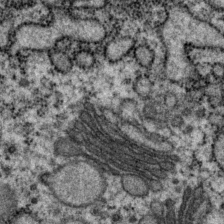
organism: P. pacificus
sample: Pharynx